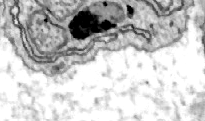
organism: Zebrafish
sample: Actinotrichia fibers